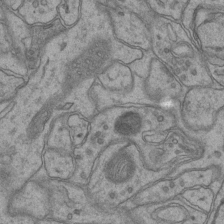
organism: Mouse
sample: CA1 Hippocampus